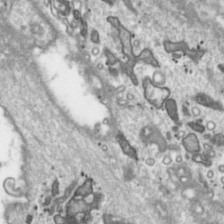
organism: Toxoplasma gondii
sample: Parasites in a vacuole inside a host cell